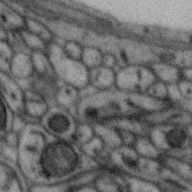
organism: Zebra finch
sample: Brain